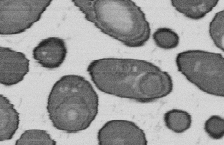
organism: B. subtilis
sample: Bacterial spore